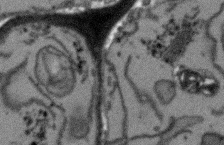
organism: Arabidopsis thaliana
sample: Root tip